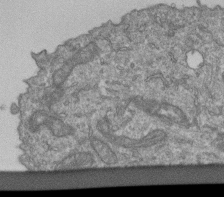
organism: Human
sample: Retinal organoid Rod and Cone cells